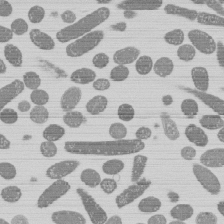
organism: E. coli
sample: Bacterial nucleoid